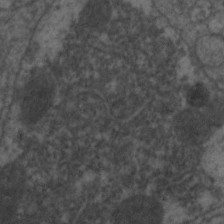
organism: C. elegans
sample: Pharynx